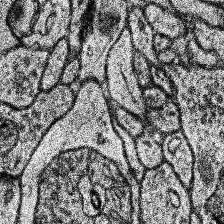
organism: Human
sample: Temporal Lobe